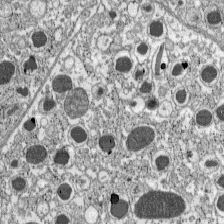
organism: C57BL Mouse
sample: Pancreatic islet